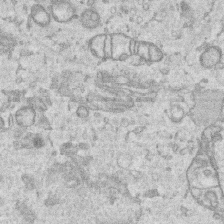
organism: Human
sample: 1205lu cells